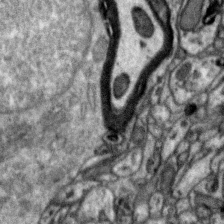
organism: Zebra finch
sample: Brain